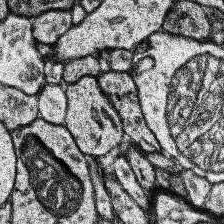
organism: Human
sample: Temporal Lobe